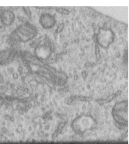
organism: Human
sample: Centriole in RPE cells